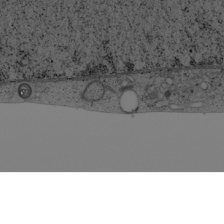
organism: African green monkey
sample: COS-7 cells